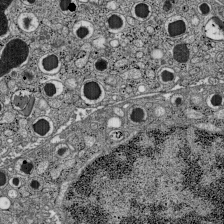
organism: C57BL Mouse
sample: Pancreatic islet